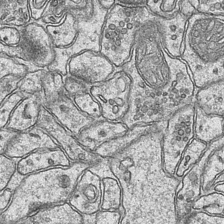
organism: Mouse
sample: CA1 Hippocampus